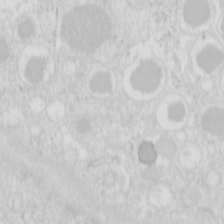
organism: Mouse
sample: Pancreas